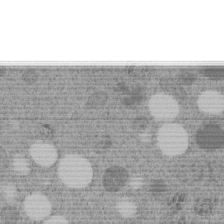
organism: C. elegans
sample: C. elegans embryo early stage